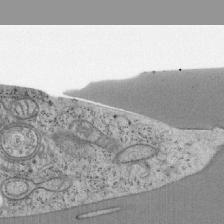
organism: Human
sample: HeLa cells